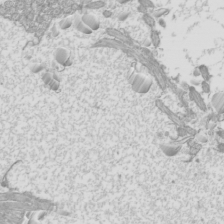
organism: Mouse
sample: Cilia; mouse epididymis